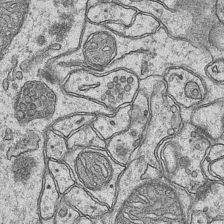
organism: Mouse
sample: CA1 Hippocampus